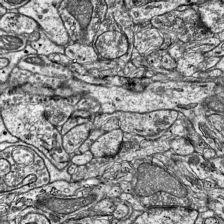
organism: Mouse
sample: Visual Cortex